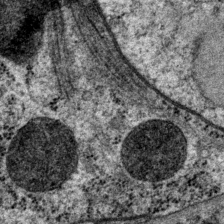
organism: P. pacificus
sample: Pharynx